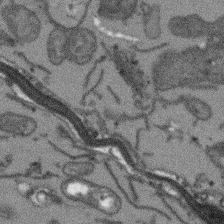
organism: Arabidopsis thaliana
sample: Root tip